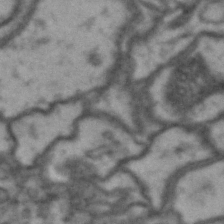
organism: Drosophila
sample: Brain